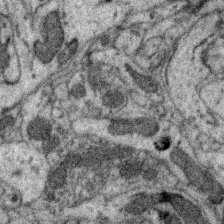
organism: Zebra finch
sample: Brain